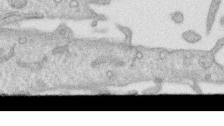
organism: Human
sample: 1205lu cells